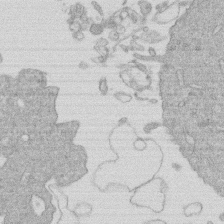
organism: Human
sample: Macrophage cells